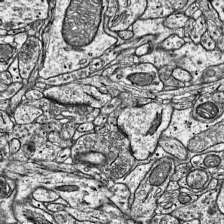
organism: Mouse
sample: Visual Cortex